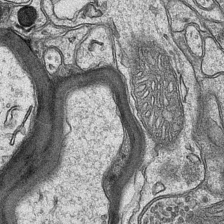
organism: Mouse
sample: CA1 Hippocampus